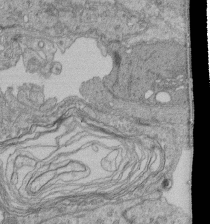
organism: Human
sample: Retinal organoid Rod and Cone cells